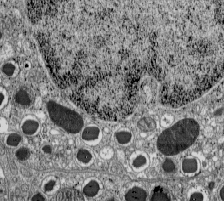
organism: C57BL Mouse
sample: Pancreatic islet